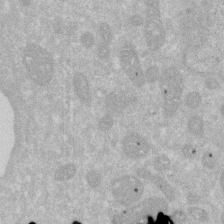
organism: Human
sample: HIV infected U937 cells